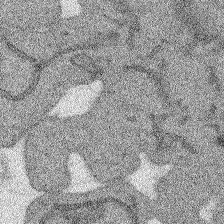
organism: Human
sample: HeLa cells